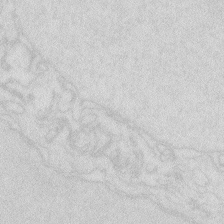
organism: Zebrafish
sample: Macrophage